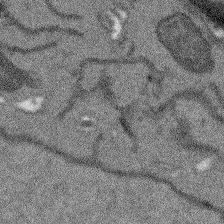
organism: Arabidopsis thaliana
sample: Root tip